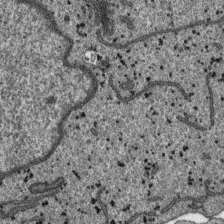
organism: Human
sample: Lung epithelial cells infected with SARS-CoV-2